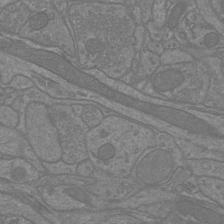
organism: Mouse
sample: Cortical neurons